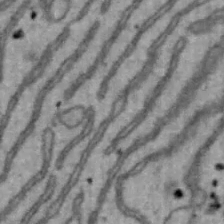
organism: Mouse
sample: Liver